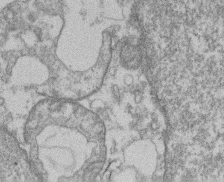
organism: Mouse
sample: T cell stromal cell synapse